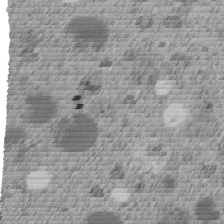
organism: C. elegans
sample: C. elegans embryo early stage